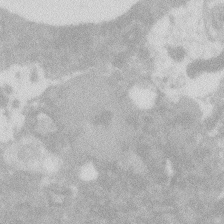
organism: Zebrafish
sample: Macrophage